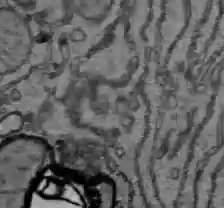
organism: C57BL Mouse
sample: Liver